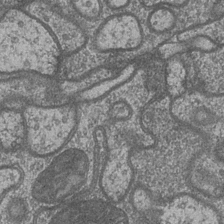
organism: Drosophila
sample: Optic medulla